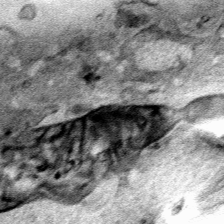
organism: Human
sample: Mitochondria in HCT116 cells